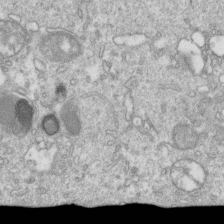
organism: Mouse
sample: Activated OT-1 CD8+ T cells